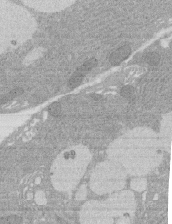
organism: Rat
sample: Salivary granule